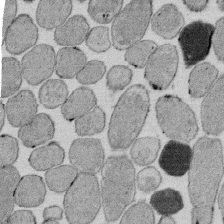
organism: E. coli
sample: Bacterial nucleoid